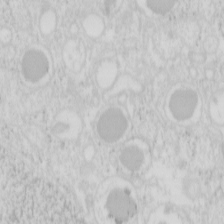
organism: Mouse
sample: Pancreas